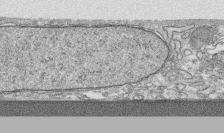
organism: Human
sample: CRL-1474